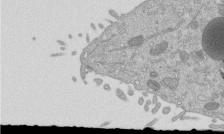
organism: Mouse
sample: ED-1 cell nuclei; centrioles